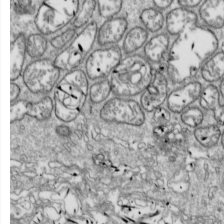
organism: Drosophila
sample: Cell division; meiosis; drosophila spermatocytes